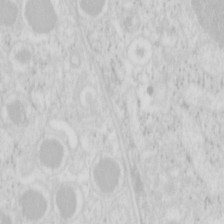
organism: Mouse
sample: Pancreas